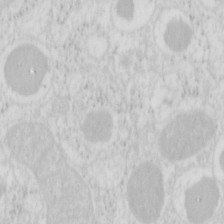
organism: Mouse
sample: Pancreas